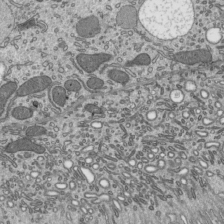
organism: Mouse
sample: Mouse epididymis efferent ductule cilia